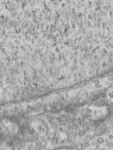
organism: Human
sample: Centriole in RPE cells